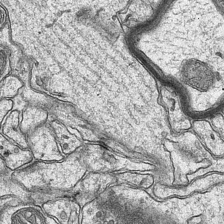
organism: Mouse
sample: CA1 Hippocampus